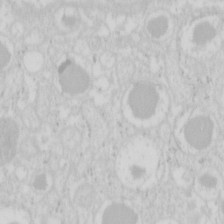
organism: Mouse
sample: Pancreas